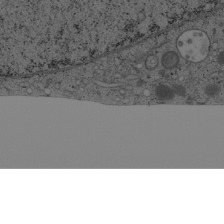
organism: African green monkey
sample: COS-7 cells